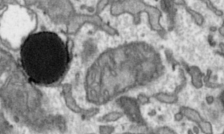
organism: Toxoplasma gondii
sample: Parasites in a vacuole inside a host cell